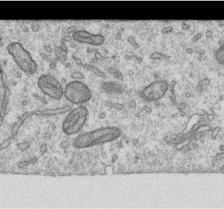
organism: Human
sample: Centriole in RPE cells